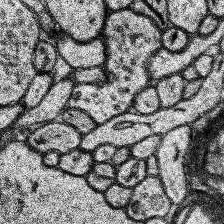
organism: Human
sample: Temporal Lobe